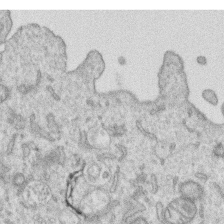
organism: Human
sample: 1205lu cells